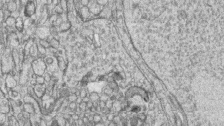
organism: Zebrafish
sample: synaptic ribbons in rod cells and cone cells